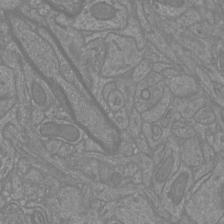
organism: Mouse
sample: Cortical neurons